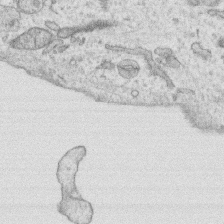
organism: Human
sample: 1205lu cells